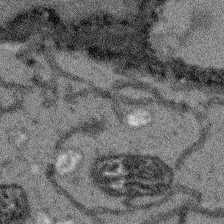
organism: Arabidopsis thaliana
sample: Root tip